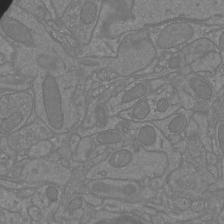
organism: Mouse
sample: Cortical neurons